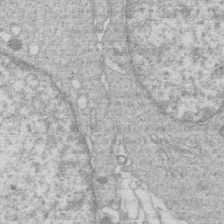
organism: Human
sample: Macrophage cells